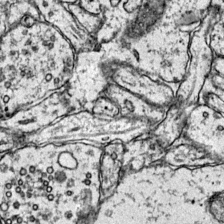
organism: Mouse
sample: Primary visual cortex